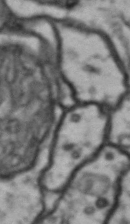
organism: Drosophila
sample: Brain